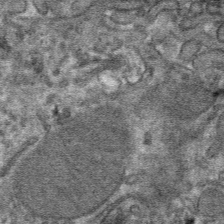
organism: Mouse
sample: Mouse hepatocytes